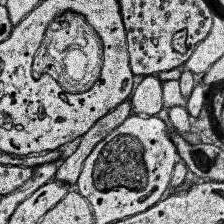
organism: Human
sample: Temporal Lobe